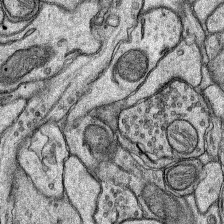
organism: Rat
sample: Hippocampus